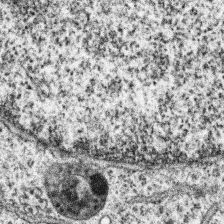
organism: Human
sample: HeLa cells